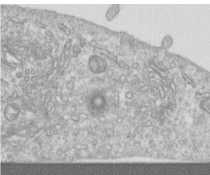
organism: Human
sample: Centriole in RPE cells